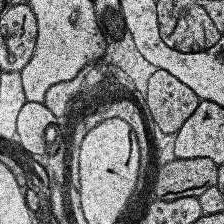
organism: Human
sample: Temporal Lobe